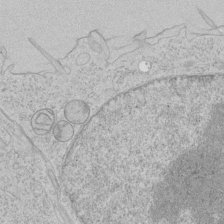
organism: Human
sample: Mitochondria in HCT116 cells